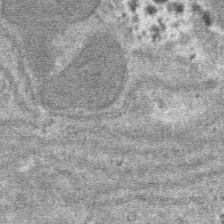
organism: Mouse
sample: Mouse hepatocytes